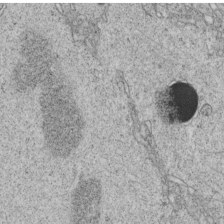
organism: C. elegans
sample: C. elegans embryo early stage